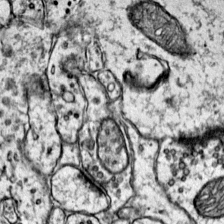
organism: Mouse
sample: Primary visual cortex